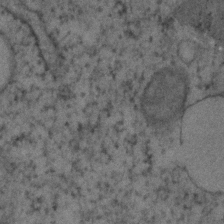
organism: Human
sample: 1205lu cells